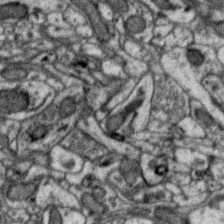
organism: Zebra finch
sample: Brain